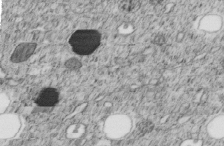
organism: C. elegans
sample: C. elegans embryo early stage